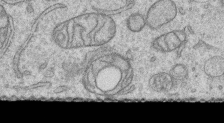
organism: Human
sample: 1205lu cells